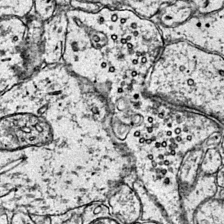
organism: Mouse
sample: Primary visual cortex